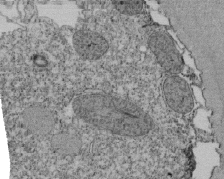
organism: Tetrahymena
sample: Cilia in tetrahymena